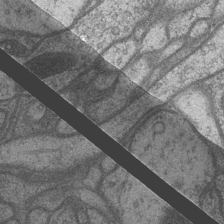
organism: Drosophila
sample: Optic medulla